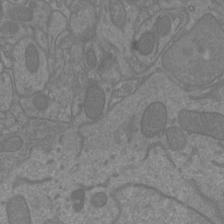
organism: Mouse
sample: Cortical neurons